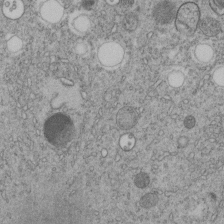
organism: C. elegans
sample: C. elegans embryo early stage